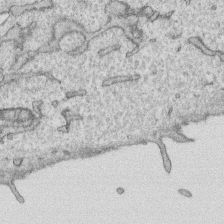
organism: Human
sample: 1205lu cells